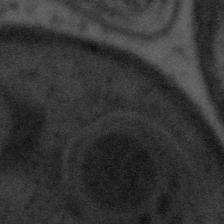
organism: Tuwongella immobilis